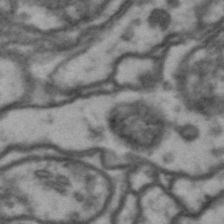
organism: Drosophila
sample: Brain